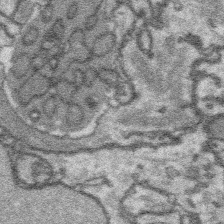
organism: Platynereis dumerilii